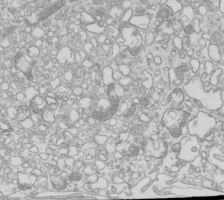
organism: Mouse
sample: Macrophages